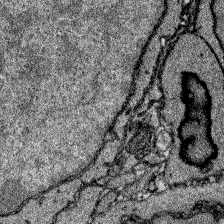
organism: Zebrafish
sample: Larval olfactory bulb